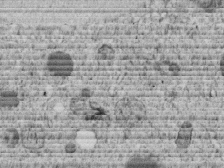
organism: C. elegans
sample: C. elegans embryo early stage